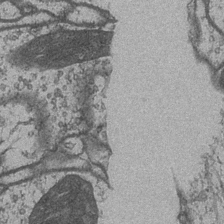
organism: Drosophila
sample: Optic medulla